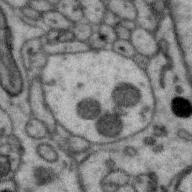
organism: Zebra finch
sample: Brain